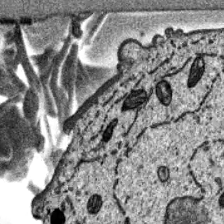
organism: Human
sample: HeLa cells